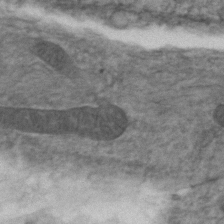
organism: Zebrafish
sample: Zebrafish embryo